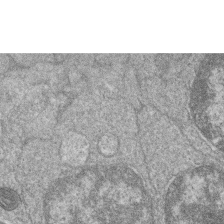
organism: Zebrafish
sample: Cilia; retinal pigment epithelium